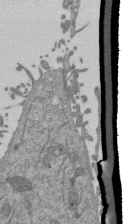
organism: Mouse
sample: ED-1 cell nuclei; centrioles